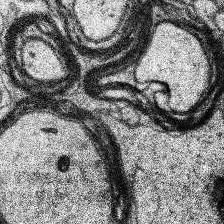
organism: Human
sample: Temporal Lobe